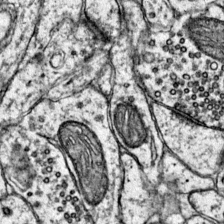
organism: Mouse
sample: Primary visual cortex